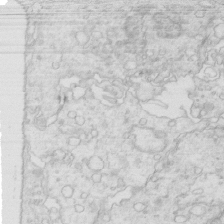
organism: Mouse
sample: Multiciliated cells